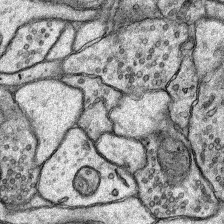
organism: Rat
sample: Hippocampus